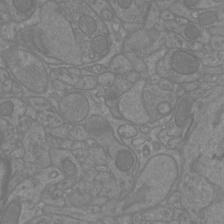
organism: Mouse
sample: Cortical neurons